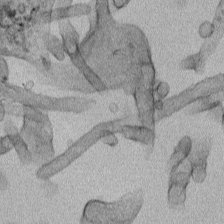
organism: Human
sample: Mitochondria in HCT116 cells